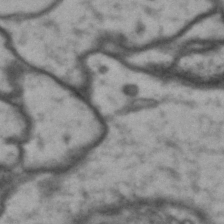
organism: Drosophila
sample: Brain